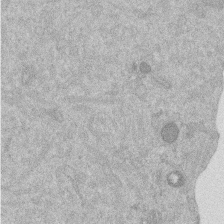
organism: Mouse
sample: Dividing mouse embryo 1 cell stage